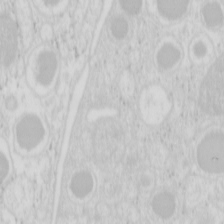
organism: Mouse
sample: Pancreas